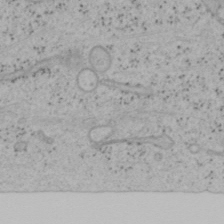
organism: Human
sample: HeLa cells